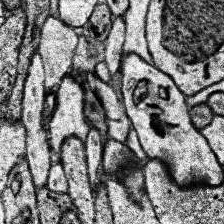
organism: Human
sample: Temporal Lobe